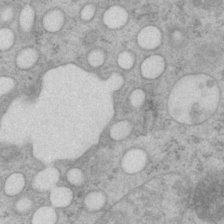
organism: P. pacificus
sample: Pharynx